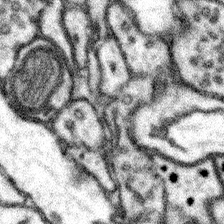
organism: Mouse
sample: Somatosensory cortex neuropil